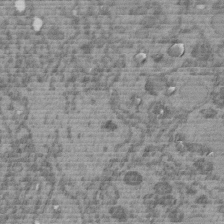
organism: C. elegans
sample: C. elegans embryo early stage